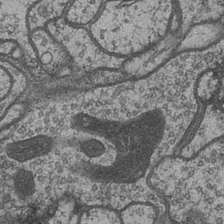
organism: Drosophila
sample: Optic medulla